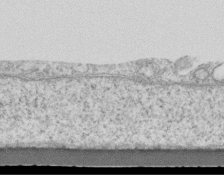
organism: Mouse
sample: Centriole in ependymal cells